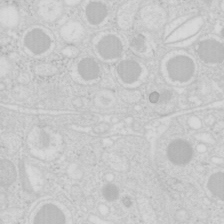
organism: Mouse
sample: Pancreas